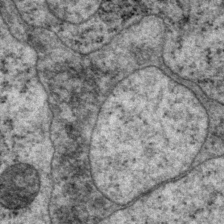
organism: P. pacificus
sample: Pharynx